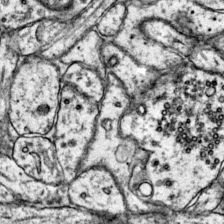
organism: Mouse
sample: Primary visual cortex